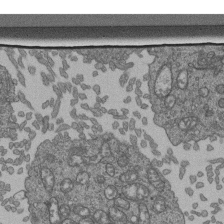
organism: Human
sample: Retinal organoid Rod and Cone cells